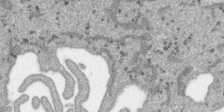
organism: Human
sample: Lung epithelial cells infected with SARS-CoV-2